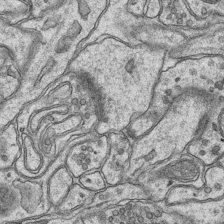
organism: Mouse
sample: CA1 Hippocampus